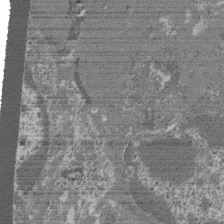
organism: Mouse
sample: Glomerulus